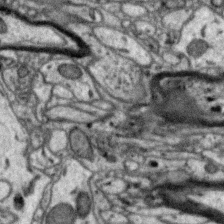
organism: Zebra finch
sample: Brain